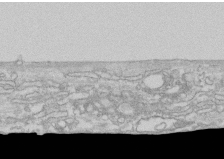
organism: Human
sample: CRL-1474